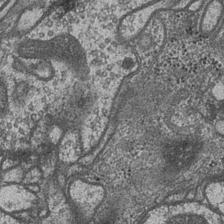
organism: Drosophila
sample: Optic medulla